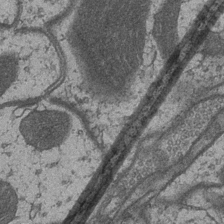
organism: Drosophila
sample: Optic medulla